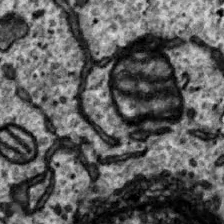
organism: Human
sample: HeLa cells